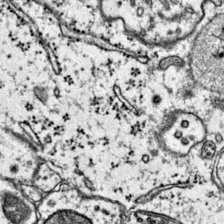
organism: Mouse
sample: Primary visual cortex